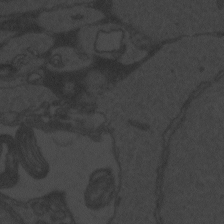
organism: Zebrafish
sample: Macrophage infected with Toxoplasma gondii